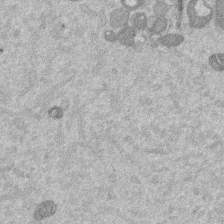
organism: Mouse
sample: Dividing mouse embryo 1 cell stage